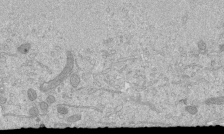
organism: Mouse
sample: ED-1 cell nuclei; centrioles